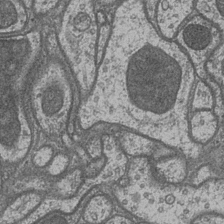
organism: Drosophila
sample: Optic medulla